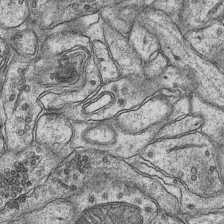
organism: Mouse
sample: CA1 Hippocampus